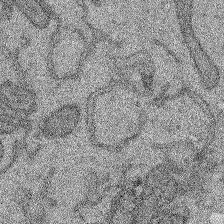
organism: Human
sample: HeLa cells